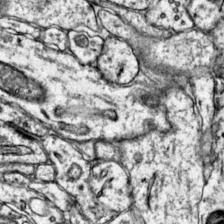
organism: Mouse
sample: Primary visual cortex